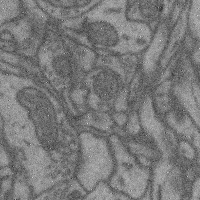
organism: Mouse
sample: Cerebral cortex